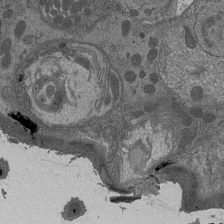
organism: Drosophila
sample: Antenna